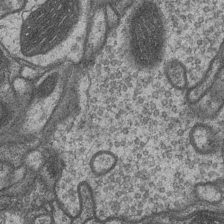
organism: Drosophila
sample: Optic medulla